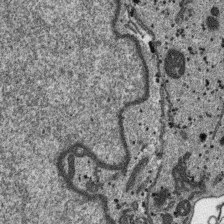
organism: Human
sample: Lung epithelial cells infected with SARS-CoV-2